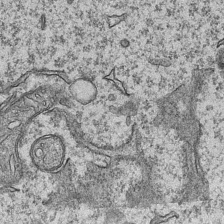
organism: Mouse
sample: CA1 Hippocampus